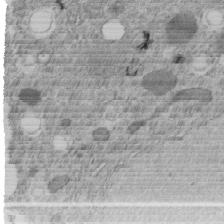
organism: C. elegans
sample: C. elegans embryo early stage